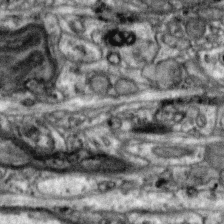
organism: Zebra finch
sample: Brain